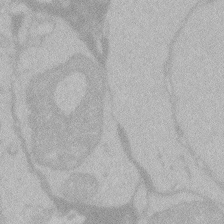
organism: Zebrafish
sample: Macrophage infected with Toxoplasma gondii